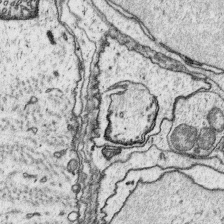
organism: Platynereis dumerilii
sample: Parapodia